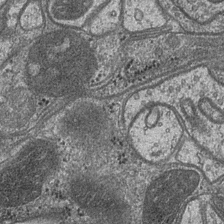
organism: Drosophila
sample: Optic medulla